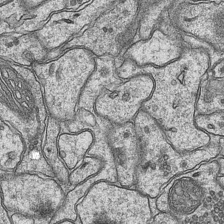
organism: Mouse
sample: CA1 Hippocampus